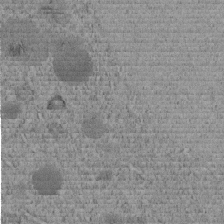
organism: C. elegans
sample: C. elegans embryo early stage